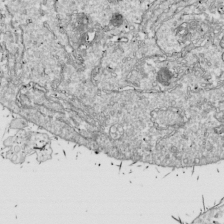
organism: Drosophila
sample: Cell division; meiosis; drosophila spermatocytes